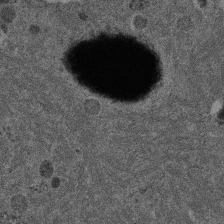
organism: Mouse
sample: Dividing mouse embryo 1 cell stage